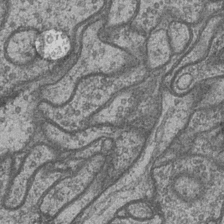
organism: Drosophila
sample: Optic medulla